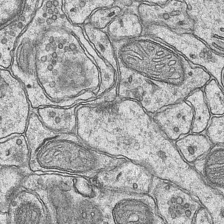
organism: Mouse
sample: CA1 Hippocampus